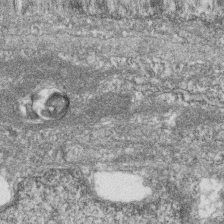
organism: Zebrafish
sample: Cilia; retinal pigment epithelium